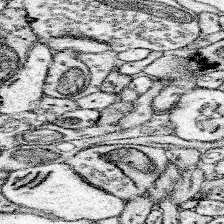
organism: Mouse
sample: Somatosensory cortex neuropil